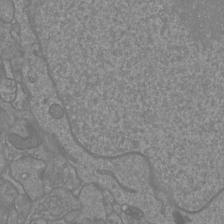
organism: Mouse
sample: Cortical neurons